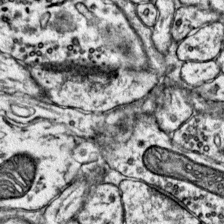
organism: Mouse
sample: Primary visual cortex